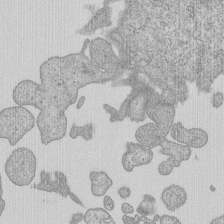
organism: Human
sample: MDA-MB-231 cells